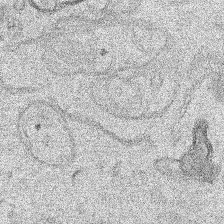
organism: Human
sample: Mitochondria in HCT116 cells